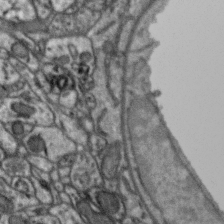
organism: Zebra finch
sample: Brain